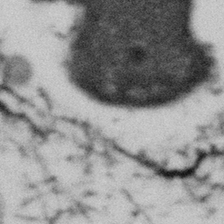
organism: Gemmata obscuriglobus